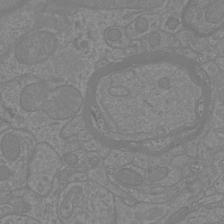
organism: Mouse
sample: Cortical neurons